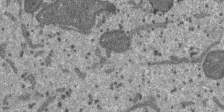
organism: Human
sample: Lung epithelial cells infected with SARS-CoV-2